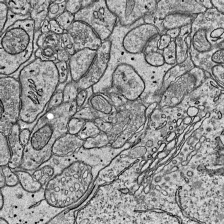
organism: Mouse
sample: Visual Cortex